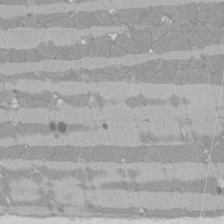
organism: Rat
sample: Left ventricle